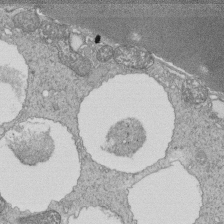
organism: Tetrahymena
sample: Cilia in tetrahymena